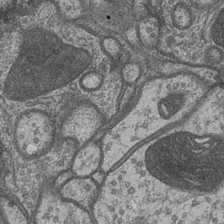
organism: Drosophila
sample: Optic medulla